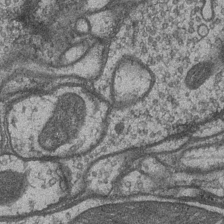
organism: Drosophila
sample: Optic medulla